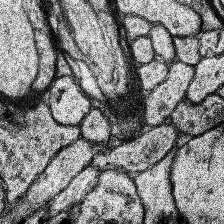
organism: Human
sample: Temporal Lobe